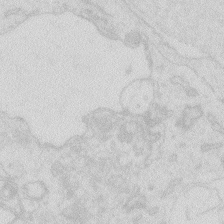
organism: Zebrafish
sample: Macrophage